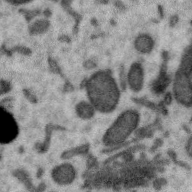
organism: Zebra finch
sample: Brain